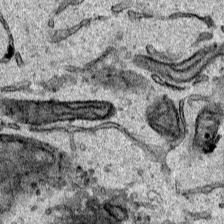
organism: Human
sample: Mitochondria in HCT116 cells